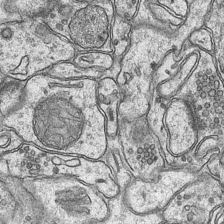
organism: Mouse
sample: CA1 Hippocampus